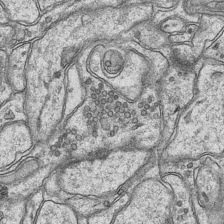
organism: Mouse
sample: CA1 Hippocampus